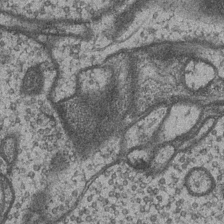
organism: Drosophila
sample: Optic medulla